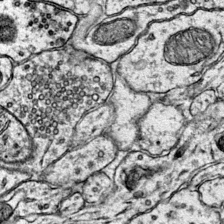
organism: Mouse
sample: Primary visual cortex